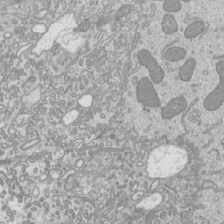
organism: Mouse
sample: Cilia; mouse epididymis